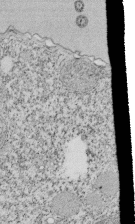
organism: Tetrahymena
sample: Cilia in tetrahymena